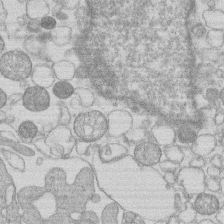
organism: Human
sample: Macrophage cells